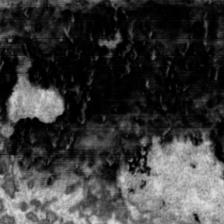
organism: Toxoplasma gondii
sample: Parasites in a vacuole inside a host cell